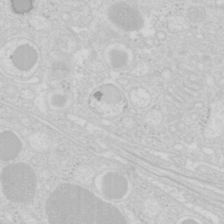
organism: Mouse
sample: Pancreas